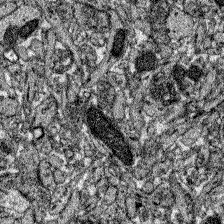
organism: Zebrafish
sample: Larval olfactory bulb